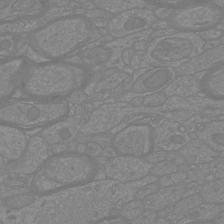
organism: Mouse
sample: Cortical neurons